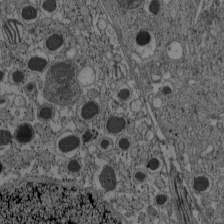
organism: C57BL Mouse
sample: Pancreatic islet